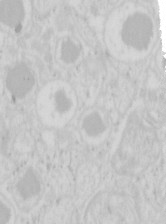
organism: Mouse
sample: Pancreas